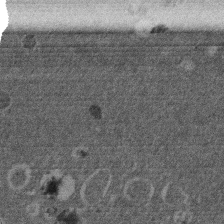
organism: Mouse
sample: Dividing mouse embryo 1 cell stage